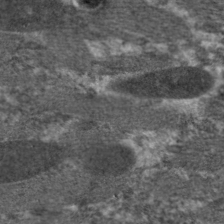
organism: C. elegans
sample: Pharynx